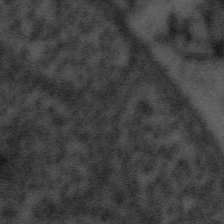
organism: Tuwongella immobilis